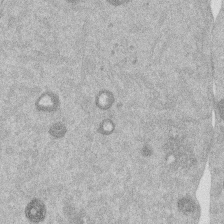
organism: Mouse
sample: Dividing mouse embryo 1 cell stage